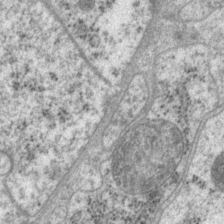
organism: P. pacificus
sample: Pharynx